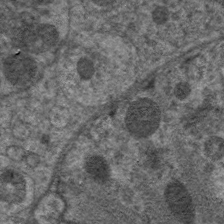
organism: C. elegans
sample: Pharynx